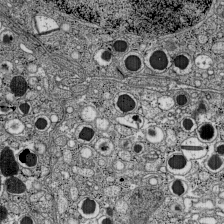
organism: C57BL Mouse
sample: Pancreatic islet